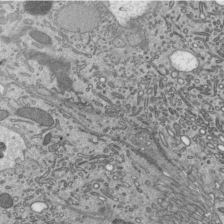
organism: Mouse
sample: Mouse epididymis efferent ductule cilia